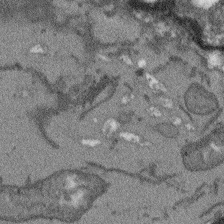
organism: Arabidopsis thaliana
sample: Root tip